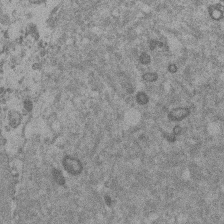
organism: Mouse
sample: Dividing mouse embryo 1 cell stage